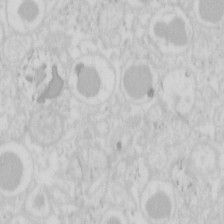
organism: Mouse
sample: Pancreas